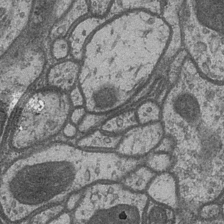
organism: Drosophila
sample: Optic medulla